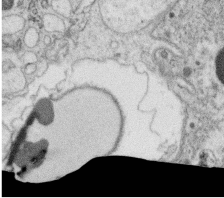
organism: C. elegans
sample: C. elegans oocyte; sperm cells